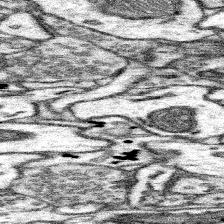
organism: Mouse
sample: Somatosensory cortex neuropil